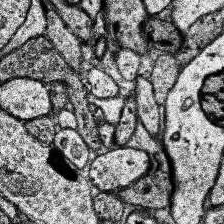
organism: Human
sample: Temporal Lobe